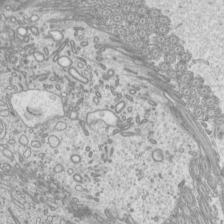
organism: Mouse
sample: Cilia; mouse epididymis